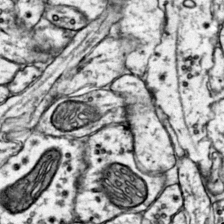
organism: Mouse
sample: Primary visual cortex